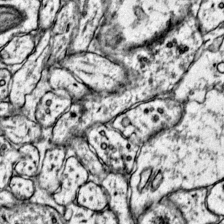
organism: Mouse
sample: Primary visual cortex